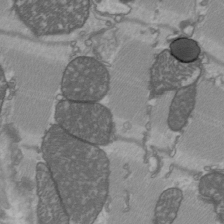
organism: C57BL Mouse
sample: Heart